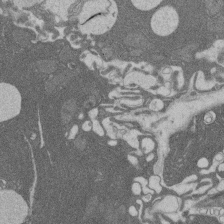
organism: Rat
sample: Salivary granule